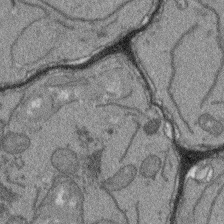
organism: Arabidopsis thaliana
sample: Root tip